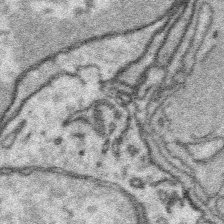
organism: Platynereis dumerilii